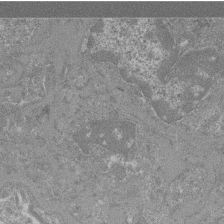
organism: Mouse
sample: Glomerulus